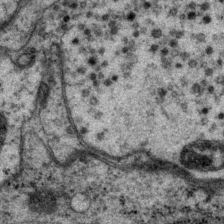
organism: P. pacificus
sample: Pharynx